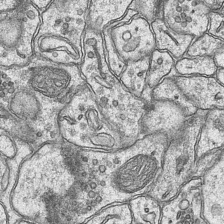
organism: Mouse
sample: CA1 Hippocampus